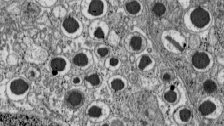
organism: C57BL Mouse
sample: Pancreatic islet